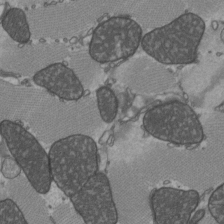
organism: C57BL Mouse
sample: Heart